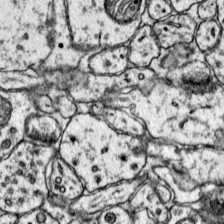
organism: Mouse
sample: Primary visual cortex